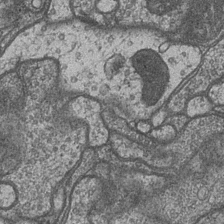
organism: Drosophila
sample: Optic medulla